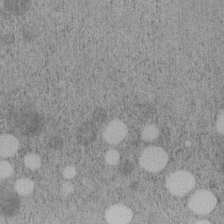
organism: C. elegans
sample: C. elegans embryo early stage